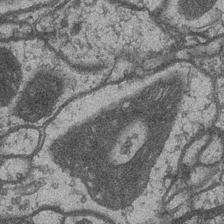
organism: Drosophila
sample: Optic medulla